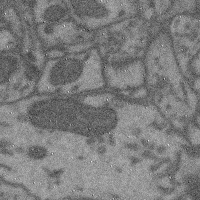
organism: Mouse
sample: Cerebral cortex